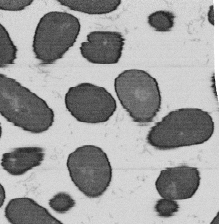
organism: B. subtilis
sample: Bacterial spore